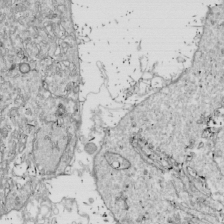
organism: Drosophila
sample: Cell division; meiosis; drosophila spermatocytes